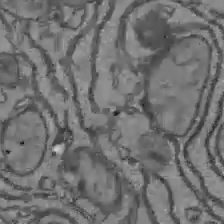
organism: C57BL Mouse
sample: Liver